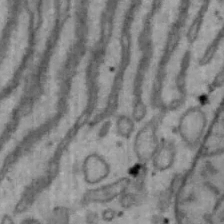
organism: Mouse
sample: Liver